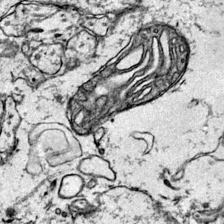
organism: Mouse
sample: Primary visual cortex